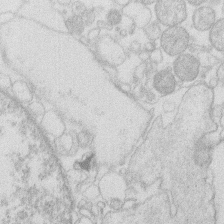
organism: Human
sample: Macrophage cells